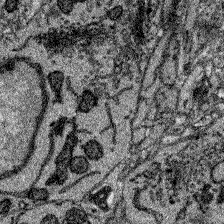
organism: Zebrafish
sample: Larval olfactory bulb